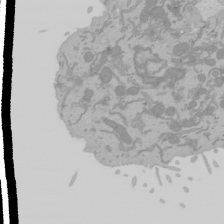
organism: Mouse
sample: Cancer cell death in ED-1 cells